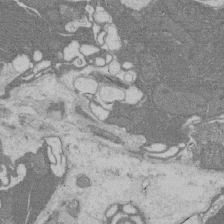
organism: Rat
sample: Salivary granule